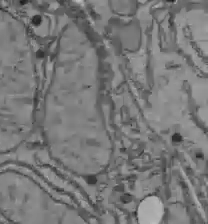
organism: C57BL Mouse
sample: Liver